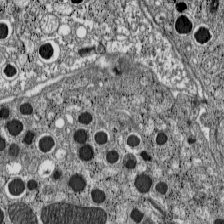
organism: C57BL Mouse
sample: Pancreatic islet